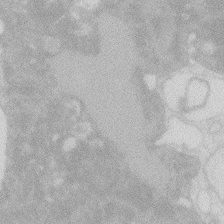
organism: Zebrafish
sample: Macrophage